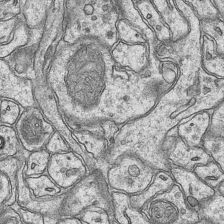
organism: Mouse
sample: CA1 Hippocampus